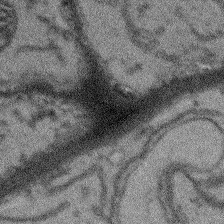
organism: Arabidopsis thaliana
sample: Root tip